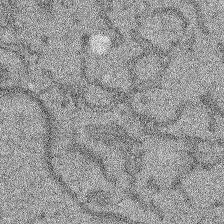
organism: Human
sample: HeLa cells